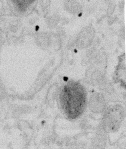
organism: Mouse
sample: T cell stromal cell synapse